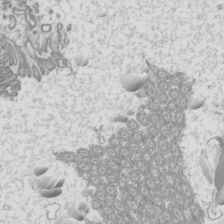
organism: Mouse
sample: Cilia; mouse epididymis